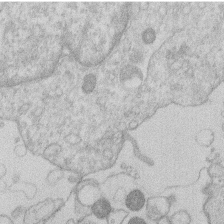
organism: Human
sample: Macrophage cells